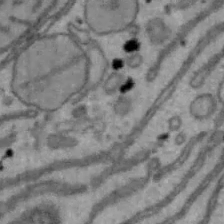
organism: Mouse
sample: Liver